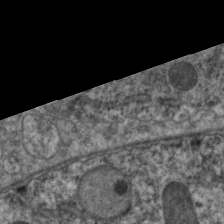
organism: C. elegans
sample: Pharynx